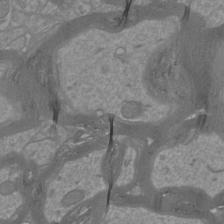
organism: Mouse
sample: Cortical neurons